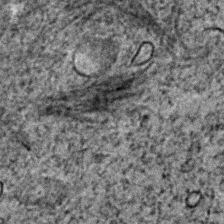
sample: Trachea